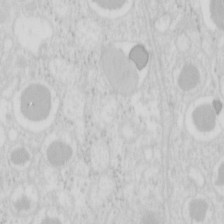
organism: Mouse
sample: Pancreas